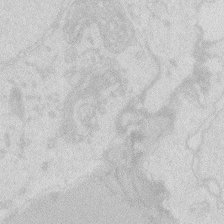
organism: Zebrafish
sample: Macrophage